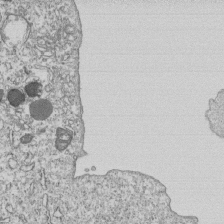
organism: Human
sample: MDA-MB-231 cells